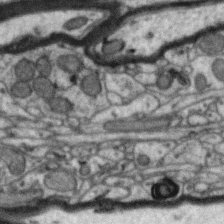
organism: Zebra finch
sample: Brain